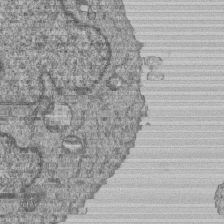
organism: Human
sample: MDA-MB-231 cells